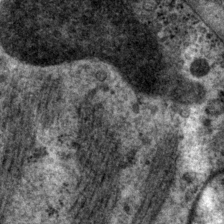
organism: P. pacificus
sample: Pharynx